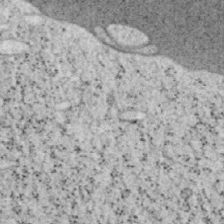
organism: Mouse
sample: OT-I killer T cells with ID8 ovarian cancer cells